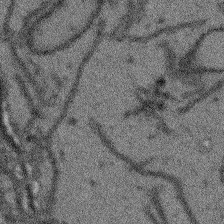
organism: Arabidopsis thaliana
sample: Root tip